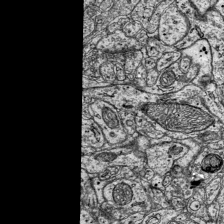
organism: Mouse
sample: Visual Cortex